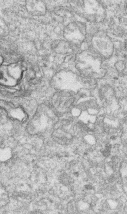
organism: Human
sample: HeLa cell HIV synapse